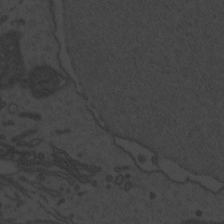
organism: Zebrafish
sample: Macrophage infected with Toxoplasma gondii